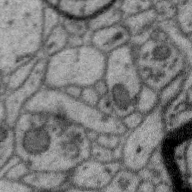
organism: Zebra finch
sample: Brain